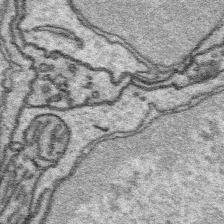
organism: Platynereis dumerilii